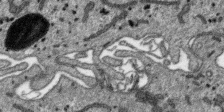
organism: Human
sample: Lung epithelial cells, uninfected (mock) control